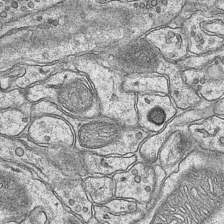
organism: Mouse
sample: CA1 Hippocampus